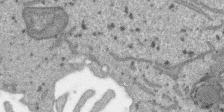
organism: Human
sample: Lung epithelial cells infected with SARS-CoV-2